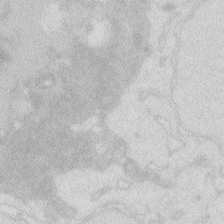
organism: Zebrafish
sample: Macrophage